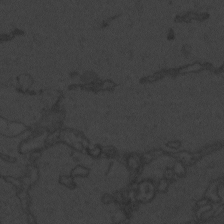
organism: Zebrafish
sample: Macrophage infected with Toxoplasma gondii